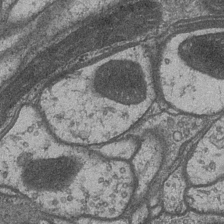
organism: Drosophila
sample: Optic medulla